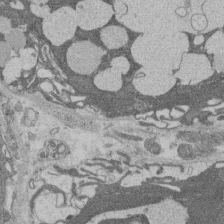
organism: Rat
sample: Salivary granule